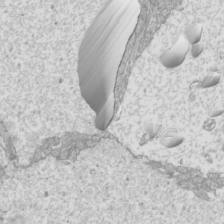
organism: Mouse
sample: Cilia; mouse epididymis